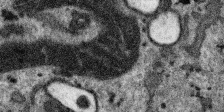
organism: Human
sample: Lung epithelial cells infected with SARS-CoV-2